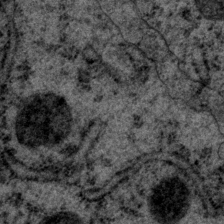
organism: P. pacificus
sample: Pharynx